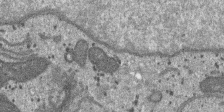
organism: Human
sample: Lung epithelial cells infected with SARS-CoV-2